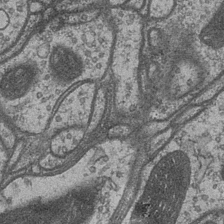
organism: Drosophila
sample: Optic medulla